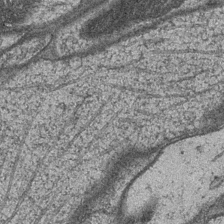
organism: Drosophila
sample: Optic medulla